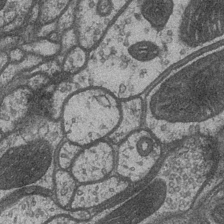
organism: Drosophila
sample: Optic medulla